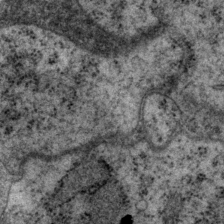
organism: P. pacificus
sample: Pharynx